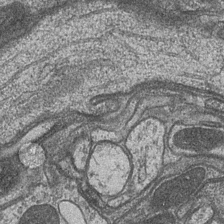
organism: Drosophila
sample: Optic medulla